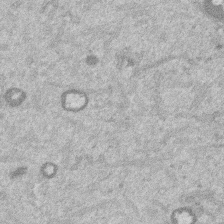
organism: Mouse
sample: Dividing mouse embryo 1 cell stage